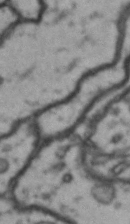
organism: Drosophila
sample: Brain